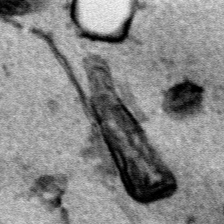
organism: Human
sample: Mitochondria in HCT116 cells